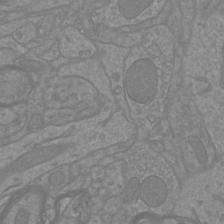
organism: Mouse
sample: Cortical neurons